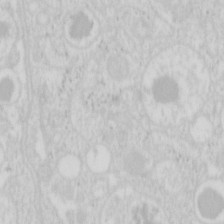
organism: Mouse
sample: Pancreas